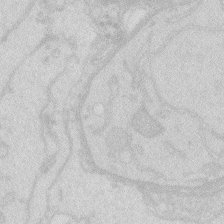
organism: Zebrafish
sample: Macrophage